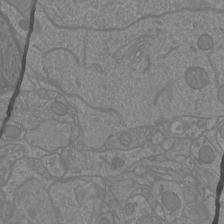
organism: Mouse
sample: Cortical neurons